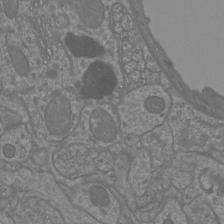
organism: Mouse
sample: Cortical neurons